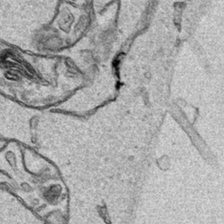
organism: Human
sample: Mitochondria in HCT116 cells